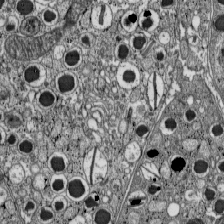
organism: C57BL Mouse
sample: Pancreatic islet